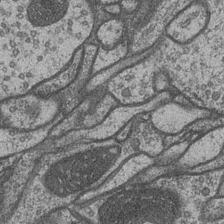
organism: Drosophila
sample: Optic medulla